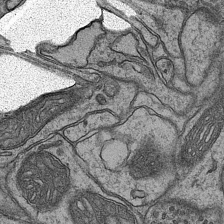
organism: Mouse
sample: CA1 Hippocampus